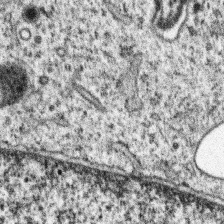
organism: Human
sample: HeLa cells